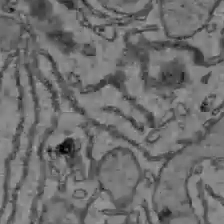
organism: C57BL Mouse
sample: Liver